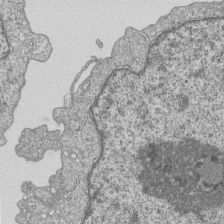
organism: Human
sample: MDA-MB-231 cells